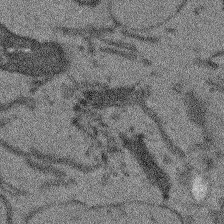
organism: Arabidopsis thaliana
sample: Root tip